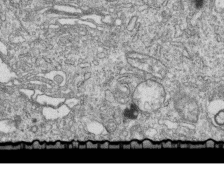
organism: Human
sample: HeLa cell HIV synapse